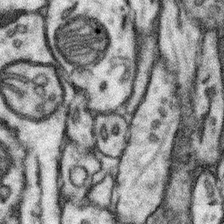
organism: Mouse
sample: Somatosensory cortex neuropil